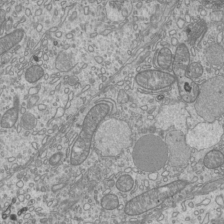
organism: Mouse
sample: Cilia; mouse epididymis